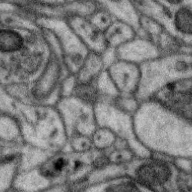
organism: Zebra finch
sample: Brain